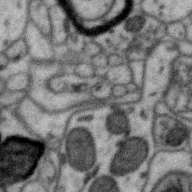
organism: Zebra finch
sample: Brain